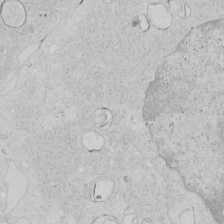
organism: Human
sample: Mitochondria in HCT116 cells